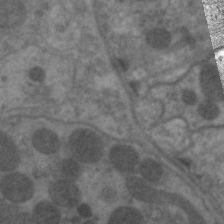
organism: C. elegans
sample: Pharynx